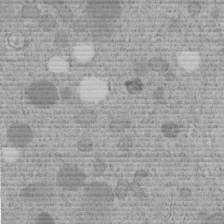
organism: C. elegans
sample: C. elegans embryo early stage